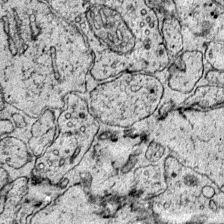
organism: Mouse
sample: Primary visual cortex